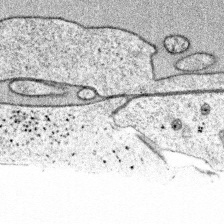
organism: Human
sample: HeLa cells